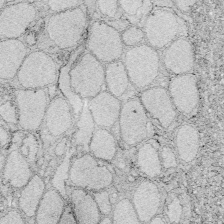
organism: Zebrafish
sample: Whole-Brain